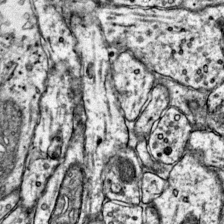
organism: Mouse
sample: Primary visual cortex